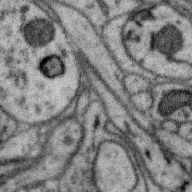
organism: Zebra finch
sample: Brain